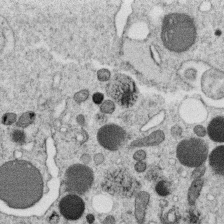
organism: C. elegans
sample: C. elegans oocyte; sperm cells